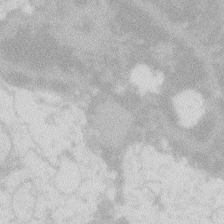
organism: Zebrafish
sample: Macrophage